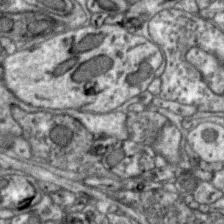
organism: Zebra finch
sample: Brain